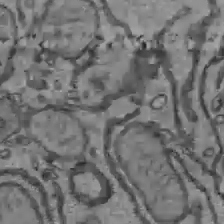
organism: C57BL Mouse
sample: Liver